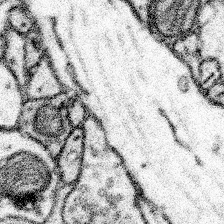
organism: Mouse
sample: Somatosensory cortex neuropil